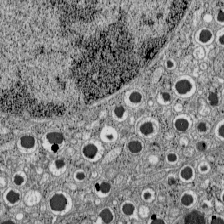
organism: C57BL Mouse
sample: Pancreatic islet